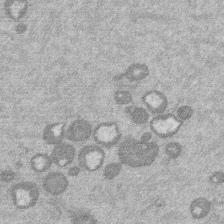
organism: Mouse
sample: Dividing mouse embryo 1 cell stage